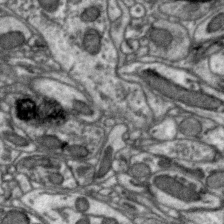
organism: Zebra finch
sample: Brain